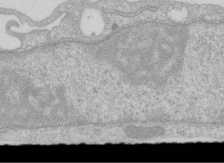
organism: Human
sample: Centriole in RPE cells